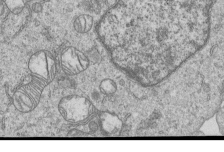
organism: Human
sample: MDA-MB-231 cells